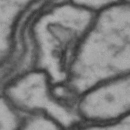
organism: Drosophila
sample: Brain